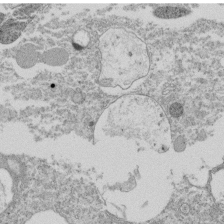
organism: Tetrahymena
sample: Cilia in tetrahymena